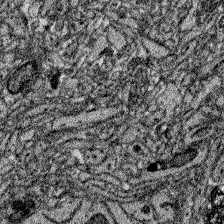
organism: Zebrafish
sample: Larval olfactory bulb